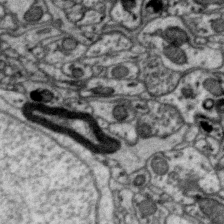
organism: Zebra finch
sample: Brain